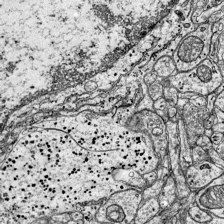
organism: Mouse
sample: Visual Cortex